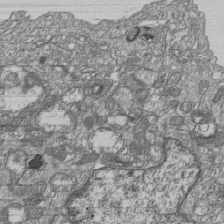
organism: Human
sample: MDA-MB-231 cells